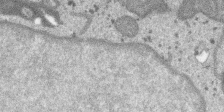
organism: Human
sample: Lung epithelial cells infected with SARS-CoV-2